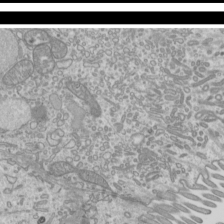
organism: Mouse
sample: Cilia; mouse epididymis